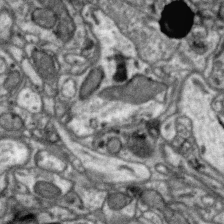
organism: Zebra finch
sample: Brain